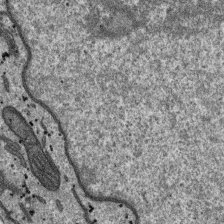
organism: Human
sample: Lung epithelial cells, uninfected (mock) control